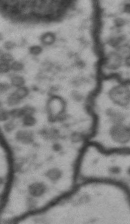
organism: Drosophila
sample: Brain